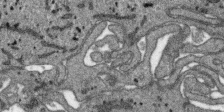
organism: Human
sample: Lung epithelial cells, uninfected (mock) control